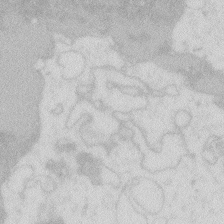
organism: Zebrafish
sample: Macrophage